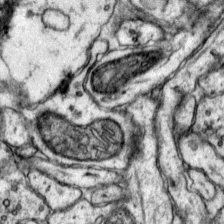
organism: Mouse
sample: Primary visual cortex